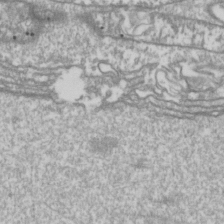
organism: Drosophila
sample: Cell division; meiosis; drosophila spermatocytes